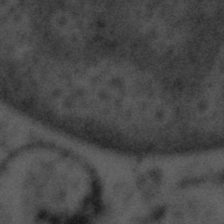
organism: Tuwongella immobilis